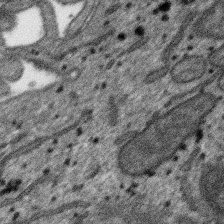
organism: Human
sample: Lung epithelial cells infected with SARS-CoV-2